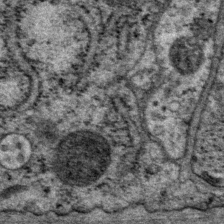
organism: P. pacificus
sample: Pharynx